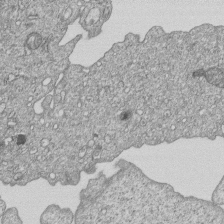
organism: Human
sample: MDA-MB-231 cells